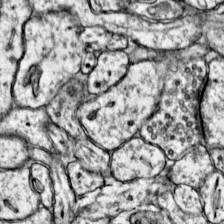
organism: Mouse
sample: Primary visual cortex